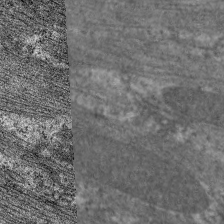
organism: C. elegans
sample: Pharynx